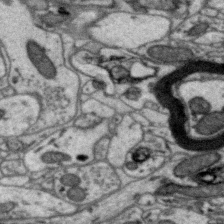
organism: Zebra finch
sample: Brain